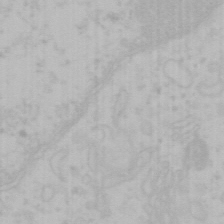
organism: Mouse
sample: Choroid plexus